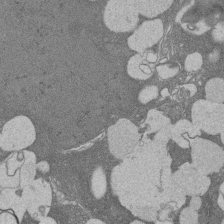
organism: Rat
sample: Salivary granule